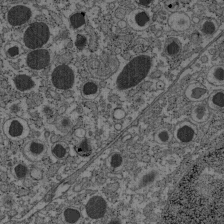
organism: C57BL Mouse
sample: Pancreatic islet